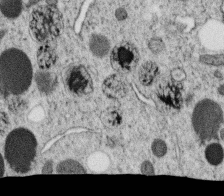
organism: C. elegans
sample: C. elegans oocyte; sperm cells